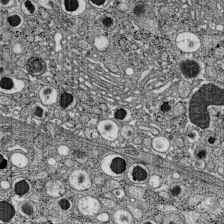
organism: C57BL Mouse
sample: Pancreatic islet